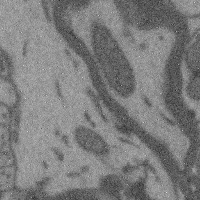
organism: Mouse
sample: Cerebral cortex